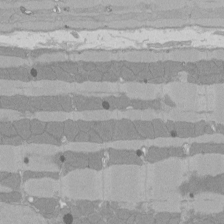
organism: Rat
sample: Left ventricle